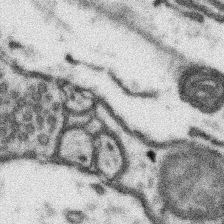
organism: Mouse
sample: Somatosensory cortex neuropil